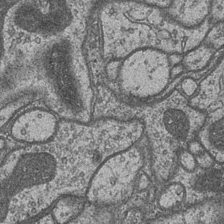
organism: Drosophila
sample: Optic medulla